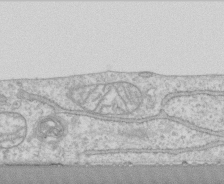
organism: Human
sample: CRL-1474